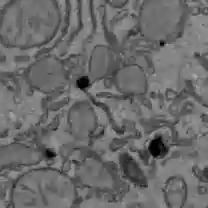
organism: C57BL Mouse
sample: Liver